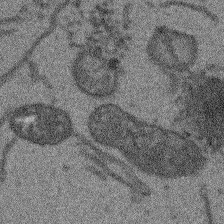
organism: Arabidopsis thaliana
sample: Root tip